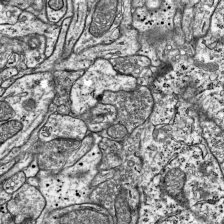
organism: Mouse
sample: Visual Cortex